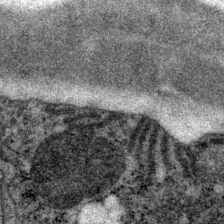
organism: P. pacificus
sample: Pharynx